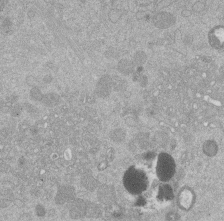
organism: Mouse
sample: Dividing mouse embryo 1 cell stage